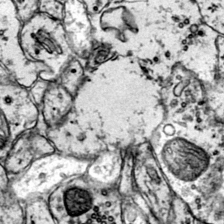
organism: Mouse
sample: Primary visual cortex